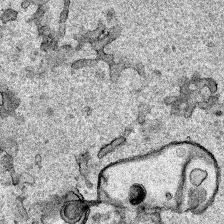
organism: Human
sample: Mitochondria in HCT116 cells